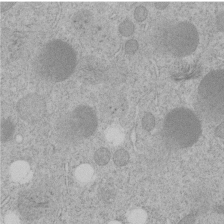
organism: C. elegans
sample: C. elegans embryo early stage